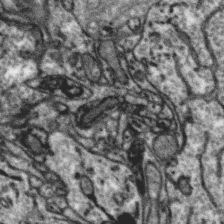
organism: Zebra finch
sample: Brain